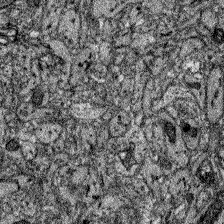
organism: Zebrafish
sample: Larval olfactory bulb